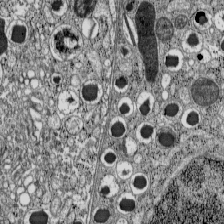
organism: C57BL Mouse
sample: Pancreatic islet